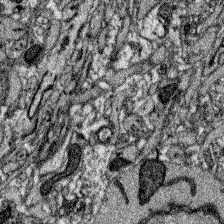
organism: Zebrafish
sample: Larval olfactory bulb